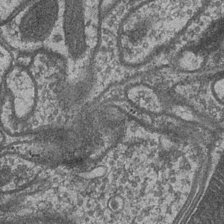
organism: Drosophila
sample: Optic medulla